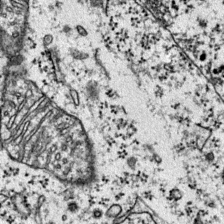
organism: Mouse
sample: Primary visual cortex